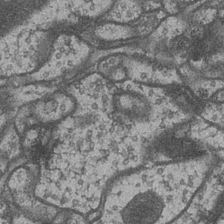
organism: Drosophila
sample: Optic medulla